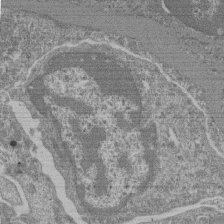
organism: Mouse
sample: Glomerulus